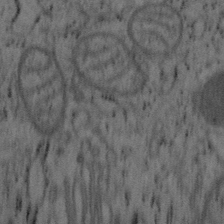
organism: Human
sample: HeLa cells